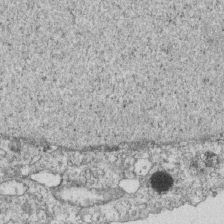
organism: Human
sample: HeLa cell HIV synapse